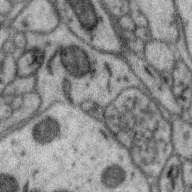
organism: Zebra finch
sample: Brain